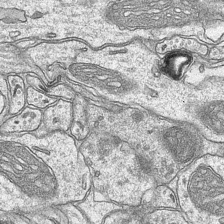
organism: Mouse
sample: CA1 Hippocampus